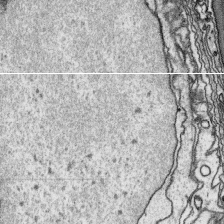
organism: Platynereis dumerilii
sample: Parapodia